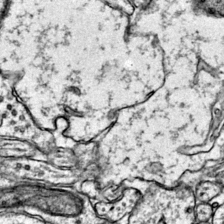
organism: Mouse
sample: Primary visual cortex